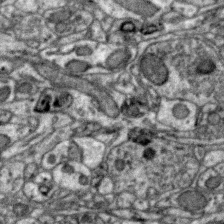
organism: Zebra finch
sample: Brain